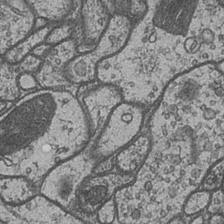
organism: Drosophila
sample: Optic medulla